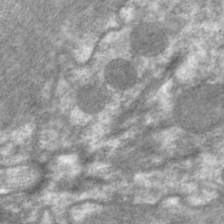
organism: C. elegans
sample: Pharynx